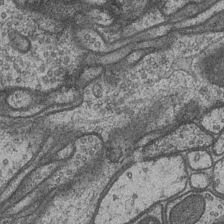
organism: Drosophila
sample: Optic medulla